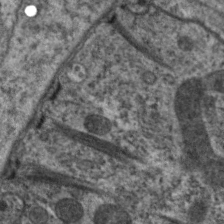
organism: C. elegans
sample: Pharynx